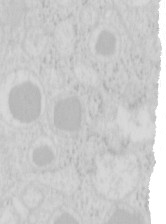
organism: Mouse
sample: Pancreas